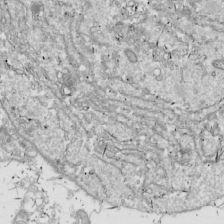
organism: Drosophila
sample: Cell division; meiosis; drosophila spermatocytes